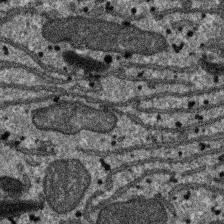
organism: Human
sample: Lung epithelial cells infected with SARS-CoV-2